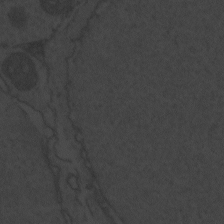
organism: Zebrafish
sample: Macrophage infected with Toxoplasma gondii